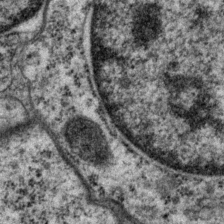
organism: P. pacificus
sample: Pharynx